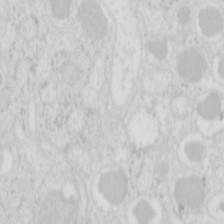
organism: Mouse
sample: Pancreas